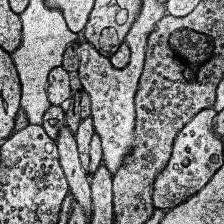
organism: Human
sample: Temporal Lobe